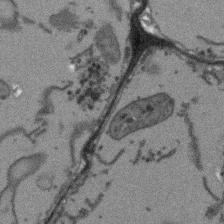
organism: Arabidopsis thaliana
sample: Root tip